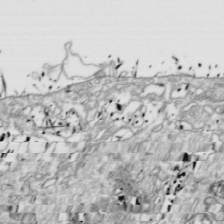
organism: Drosophila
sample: Cell division; meiosis; drosophila spermatocytes